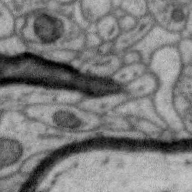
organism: Zebra finch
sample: Brain